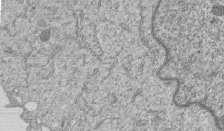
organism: Human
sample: MDA-MB-231 cells